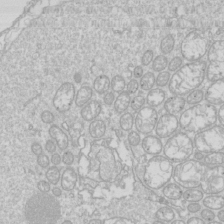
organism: Drosophila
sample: Cell division; meiosis; drosophila spermatocytes